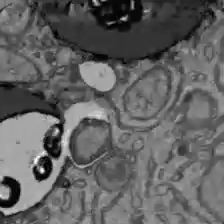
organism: C57BL Mouse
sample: Liver